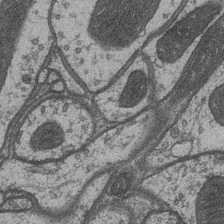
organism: Drosophila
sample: Optic medulla